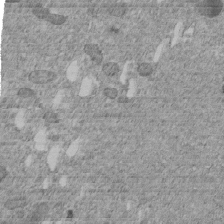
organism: C. elegans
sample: C. elegans embryo early stage